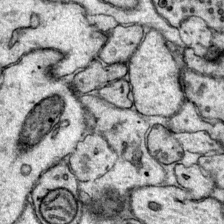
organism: Mouse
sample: Primary visual cortex